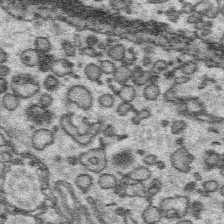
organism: Platynereis dumerilii